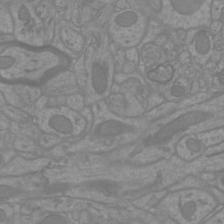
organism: Mouse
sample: Cortical neurons